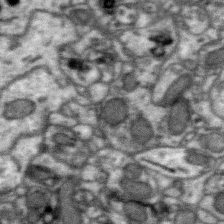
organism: Zebra finch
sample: Brain